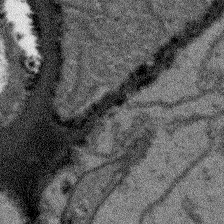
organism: Arabidopsis thaliana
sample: Root tip